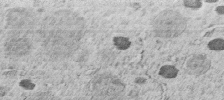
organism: C. elegans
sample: C. elegans embryo early stage